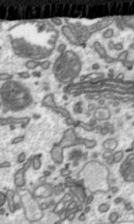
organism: Toxoplasma gondii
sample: Parasites in a vacuole inside a host cell